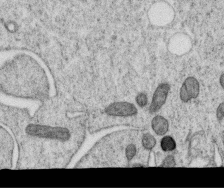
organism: C. elegans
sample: C. elegans oocyte; sperm cells